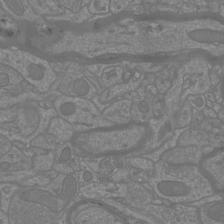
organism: Mouse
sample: Cortical neurons